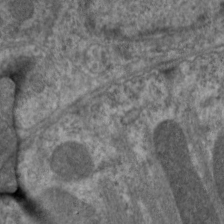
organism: C. elegans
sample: Pharynx